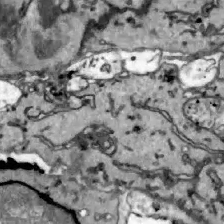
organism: Zebrafish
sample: Actinotrichia fibers